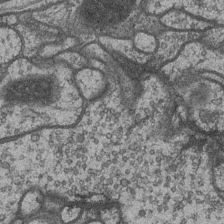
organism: Drosophila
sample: Optic medulla